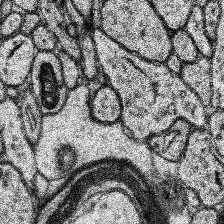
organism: Human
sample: Temporal Lobe